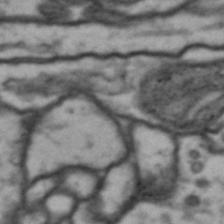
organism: Drosophila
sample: Brain